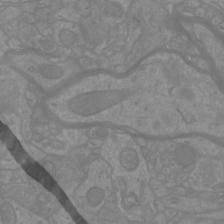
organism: Mouse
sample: Cortical neurons